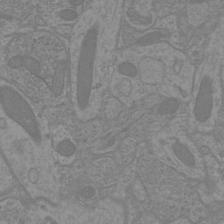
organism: Mouse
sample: Cortical neurons